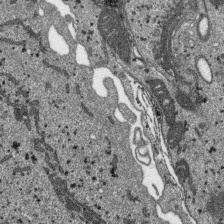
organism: Human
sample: Lung epithelial cells infected with SARS-CoV-2